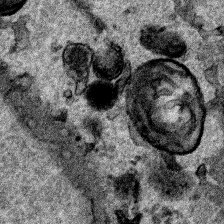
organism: Human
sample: Mitochondria in HCT116 cells